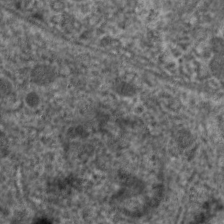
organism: C. elegans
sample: Pharynx